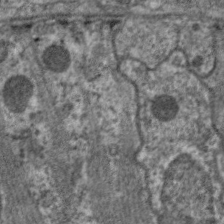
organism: C. elegans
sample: Pharynx